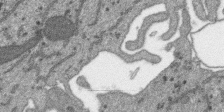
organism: Human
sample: Lung epithelial cells infected with SARS-CoV-2